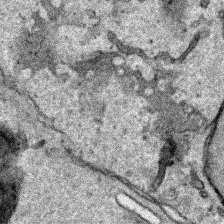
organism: Human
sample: Mitochondria in HCT116 cells